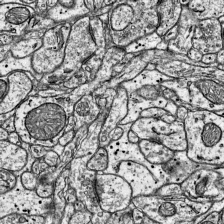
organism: Mouse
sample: Visual Cortex